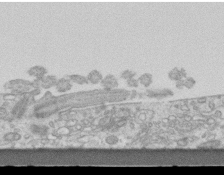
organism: Mouse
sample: Centriole in ependymal cells